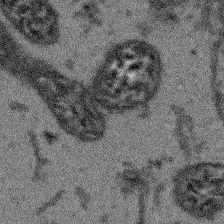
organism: Arabidopsis thaliana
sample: Root tip